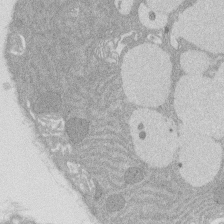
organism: Rat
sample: Salivary granule